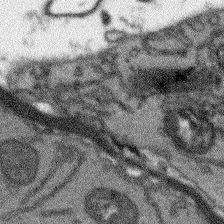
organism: Arabidopsis thaliana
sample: Root tip